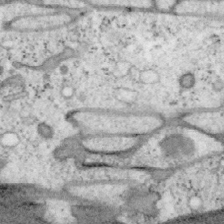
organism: Mouse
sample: OT-I killer T cells with ID8 ovarian cancer cells